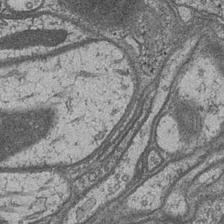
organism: Drosophila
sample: Optic medulla